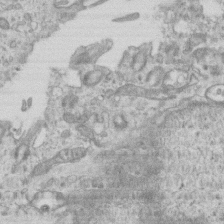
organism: Mouse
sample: Centriole in ependymal cells